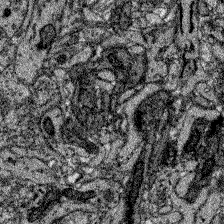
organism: Zebrafish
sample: Larval olfactory bulb